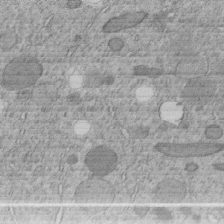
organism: C. elegans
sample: C. elegans embryo early stage